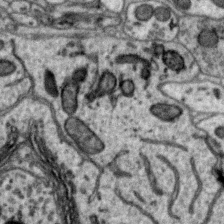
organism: Zebra finch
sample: Brain